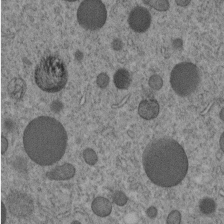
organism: C. elegans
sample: C. elegans embryo early stage